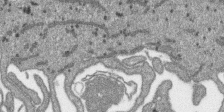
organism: Human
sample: Lung epithelial cells infected with SARS-CoV-2